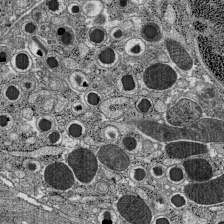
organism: C57BL Mouse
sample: Pancreatic islet